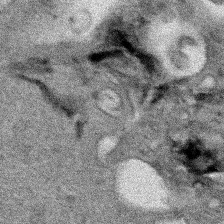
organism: Human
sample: Mitochondria in HCT116 cells